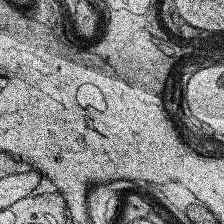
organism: Human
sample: Temporal Lobe